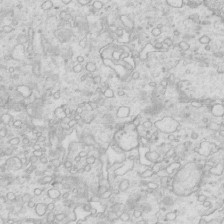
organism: Mouse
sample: Multiciliated cells